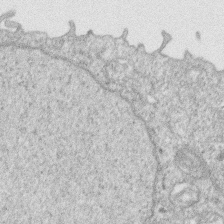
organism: Human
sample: HeLa cell HIV synapse